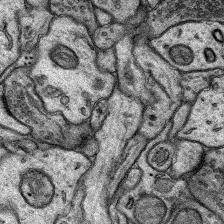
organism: Rat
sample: Hippocampus